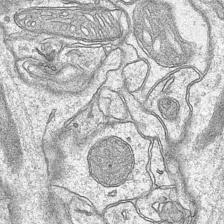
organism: Mouse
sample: CA1 Hippocampus